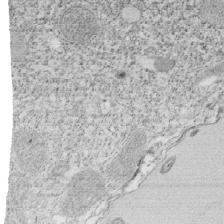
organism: Tetrahymena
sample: Cilia in tetrahymena